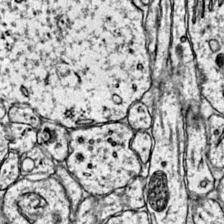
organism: Mouse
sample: Primary visual cortex